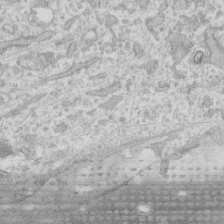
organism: Human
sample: Fibroblast cells